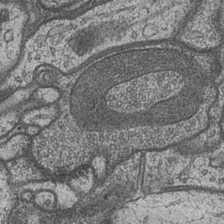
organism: Drosophila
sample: Optic medulla